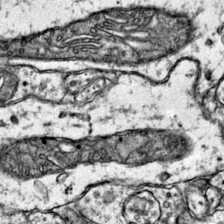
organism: Mouse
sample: Primary visual cortex